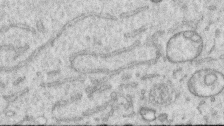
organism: Human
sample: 1205lu cells